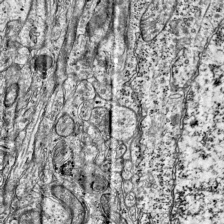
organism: Mouse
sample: Visual Cortex